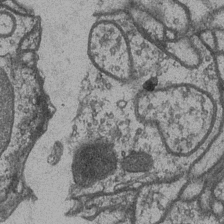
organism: Drosophila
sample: Optic medulla